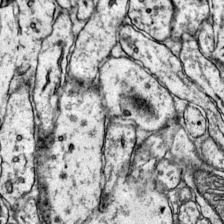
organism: Mouse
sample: Primary visual cortex